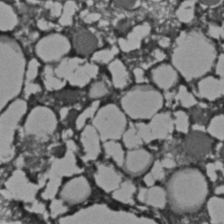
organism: C. elegans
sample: C. elegans embryo